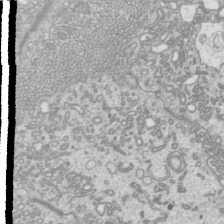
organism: Mouse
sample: Cilia; mouse epididymis